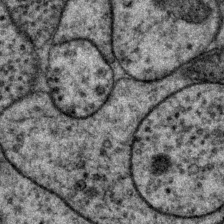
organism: P. pacificus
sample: Pharynx